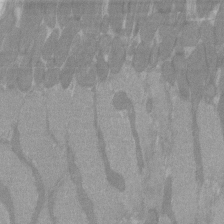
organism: C57BL Mouse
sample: Tibialis anterior muscle cell